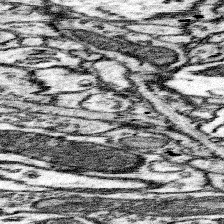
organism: Mouse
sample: Somatosensory cortex neuropil